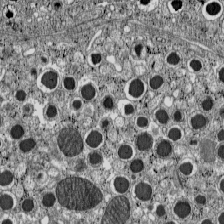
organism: C57BL Mouse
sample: Pancreatic islet